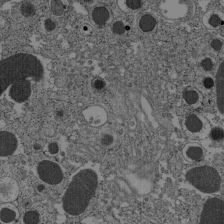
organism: C57BL Mouse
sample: Pancreatic islet